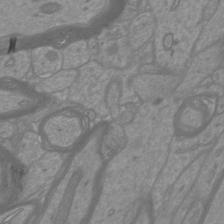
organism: Mouse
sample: Cortical neurons